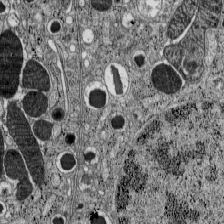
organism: C57BL Mouse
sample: Pancreatic islet